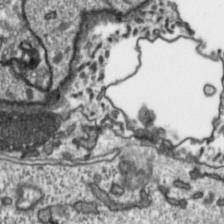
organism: Toxoplasma gondii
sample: Parasites in a vacuole inside a host cell